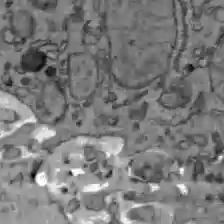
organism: C57BL Mouse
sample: Liver